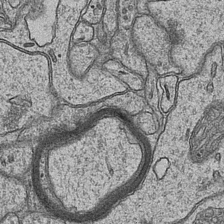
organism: Mouse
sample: CA1 Hippocampus